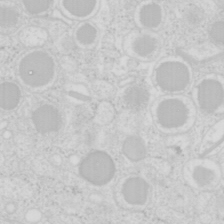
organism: Mouse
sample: Pancreas